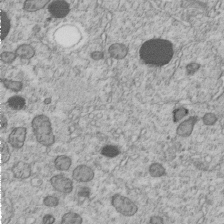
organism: C. elegans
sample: C. elegans embryo early stage